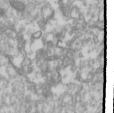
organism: Drosophila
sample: Cell division; meiosis; drosophila spermatocytes